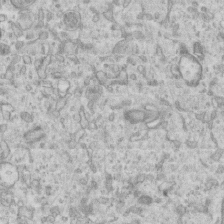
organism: Mouse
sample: Centriole in ependymal cells